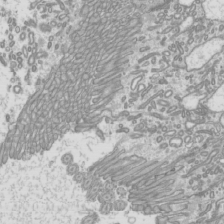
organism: Mouse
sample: Cilia; mouse epididymis